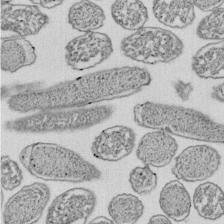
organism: E. coli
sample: Bacterial nucleoid